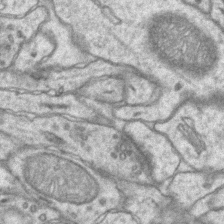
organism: Mouse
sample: CA1 Hippocampus